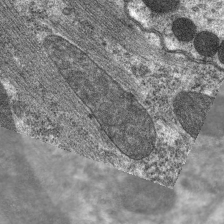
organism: C. elegans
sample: Pharynx